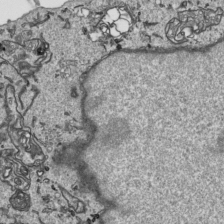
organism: Human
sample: Mitochondria in HCT116 cells